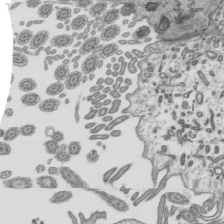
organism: Mouse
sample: Mouse epididymis efferent ductule cilia